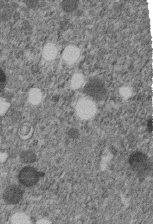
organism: C. elegans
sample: C. elegans embryo early stage